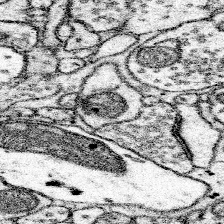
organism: Mouse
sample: Somatosensory cortex neuropil